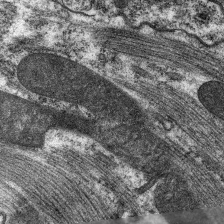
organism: C. elegans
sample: Pharynx